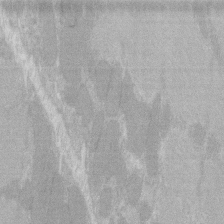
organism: C57BL Mouse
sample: Tibialis anterior muscle cell